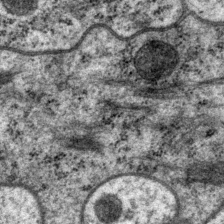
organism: P. pacificus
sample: Pharynx